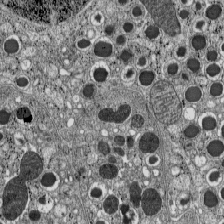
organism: C57BL Mouse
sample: Pancreatic islet